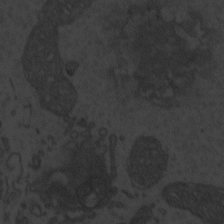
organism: Zebrafish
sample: Macrophage infected with Toxoplasma gondii